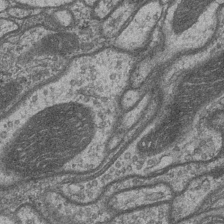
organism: Drosophila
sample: Optic medulla